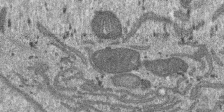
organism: Human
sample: Lung epithelial cells infected with SARS-CoV-2